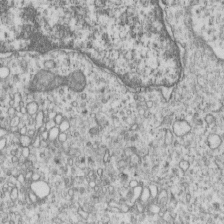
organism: Human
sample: MDA-MB-231 cells